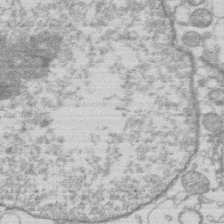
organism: Human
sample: Macrophage cells